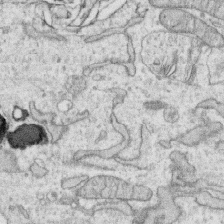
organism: Human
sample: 1205lu cells